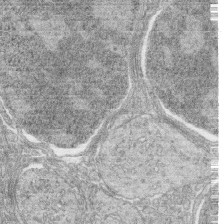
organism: Zebrafish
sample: synaptic ribbons in rod cells and cone cells